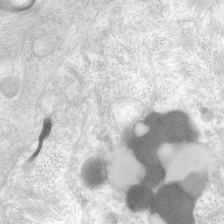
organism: Human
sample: Neocortex